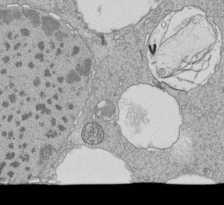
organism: Tetrahymena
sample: Cilia in tetrahymena